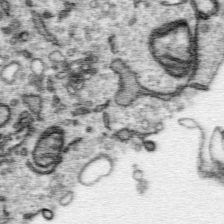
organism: Human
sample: HeLa cells